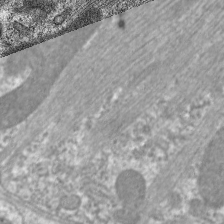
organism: C. elegans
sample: Pharynx